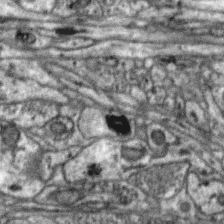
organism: Zebra finch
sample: Brain